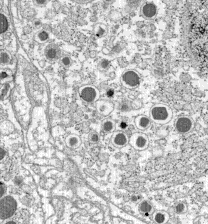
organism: C57BL Mouse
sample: Pancreatic islet